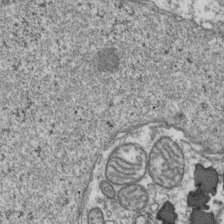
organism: Human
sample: Activated Jurkat CD4+ T cells